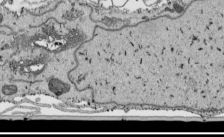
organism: Human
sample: Mitochondria in HCT116 cells